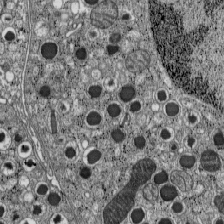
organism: C57BL Mouse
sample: Pancreatic islet